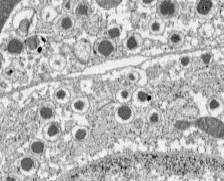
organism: C57BL Mouse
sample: Pancreatic islet